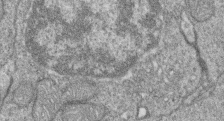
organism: Zebrafish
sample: Cilia; retinal pigment epithelium